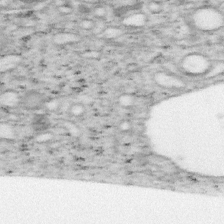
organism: Mouse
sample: OT-I killer T cells with ID8 ovarian cancer cells